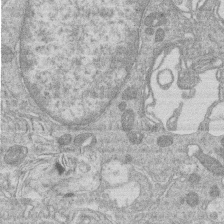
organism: Human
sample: Macrophage cells